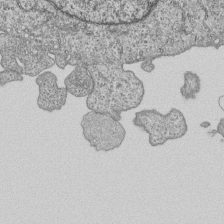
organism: Human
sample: MDA-MB-231 cells